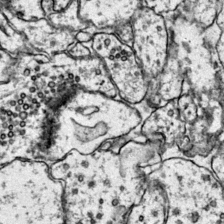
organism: Mouse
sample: Primary visual cortex